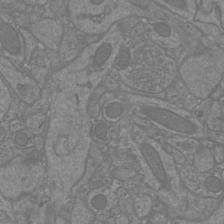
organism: Mouse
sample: Cortical neurons